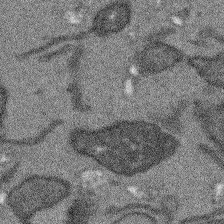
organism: Arabidopsis thaliana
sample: Root tip